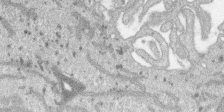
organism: Human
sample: Lung epithelial cells infected with SARS-CoV-2